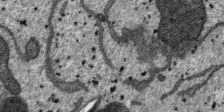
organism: Human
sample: Lung epithelial cells, uninfected (mock) control